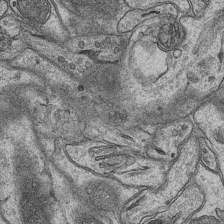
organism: Mouse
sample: CA1 Hippocampus